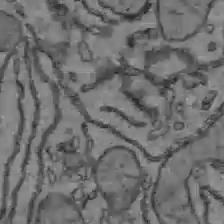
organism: C57BL Mouse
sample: Liver